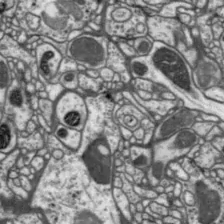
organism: Drosophila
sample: Protocerebral bridge